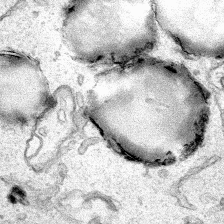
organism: Human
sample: Mitochondria in HCT116 cells